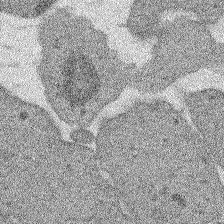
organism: Human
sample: HeLa cells